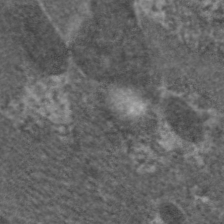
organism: C. elegans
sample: Pharynx